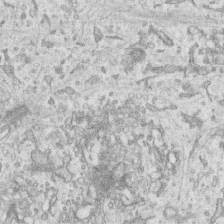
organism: Human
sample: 1205lu cells